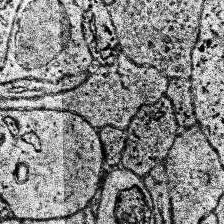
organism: Human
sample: Temporal Lobe